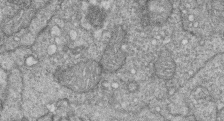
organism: Zebrafish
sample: Cilia; retinal pigment epithelium